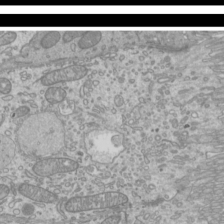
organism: Mouse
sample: Cilia; mouse epididymis